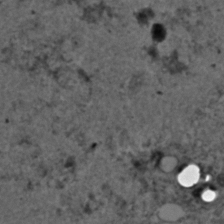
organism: C. elegans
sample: C. elegans embryo